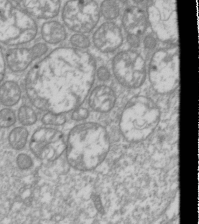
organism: Drosophila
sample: Cell division; meiosis; drosophila spermatocytes